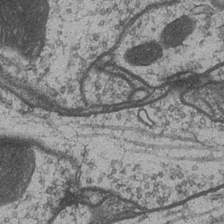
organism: Drosophila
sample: Optic medulla